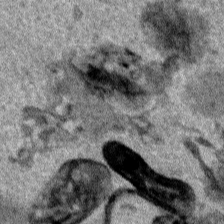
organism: Human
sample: Mitochondria in HCT116 cells